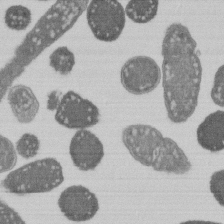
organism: E. coli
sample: Bacterial nucleoid